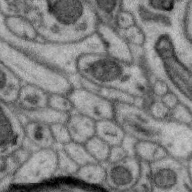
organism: Zebra finch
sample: Brain